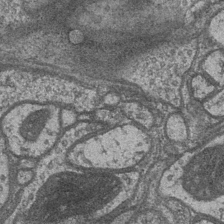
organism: Drosophila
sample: Optic medulla